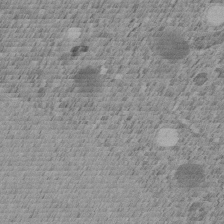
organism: C. elegans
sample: C. elegans embryo early stage